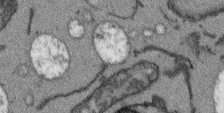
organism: Arabidopsis thaliana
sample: Root tip